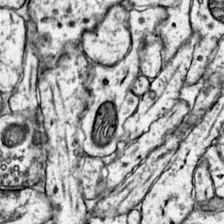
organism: Mouse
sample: Primary visual cortex